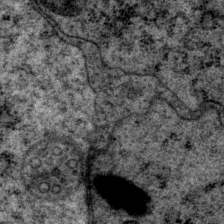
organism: P. pacificus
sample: Pharynx